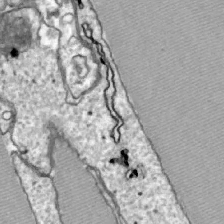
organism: Zebrafish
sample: Actinotrichia fibers